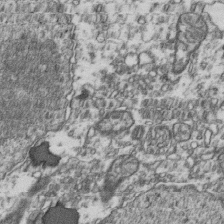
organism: Human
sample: Activated Jurkat CD4+ T cells